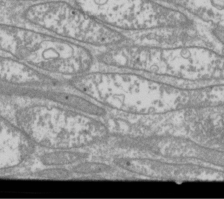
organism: Drosophila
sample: Cell division; meiosis; drosophila spermatocytes